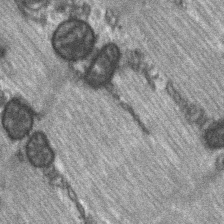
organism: C57BL Mouse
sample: Soleus